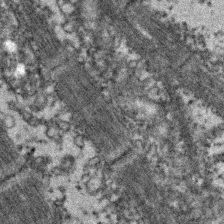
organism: Zebrafish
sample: Zebrafish embryo